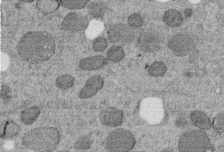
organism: C. elegans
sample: C. elegans embryo early stage